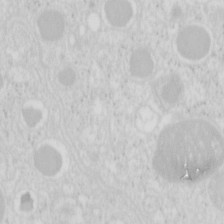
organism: Mouse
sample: Pancreas